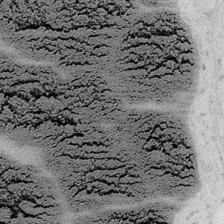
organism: Embia sp.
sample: Silk gland